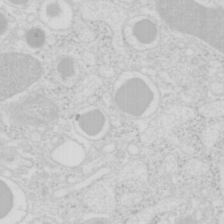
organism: Mouse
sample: Pancreas